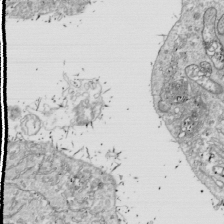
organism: Drosophila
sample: Cell division; meiosis; drosophila spermatocytes